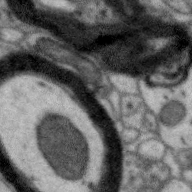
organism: Zebra finch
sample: Brain